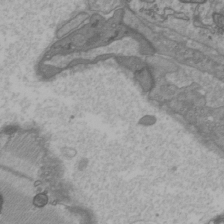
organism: C57BL Mouse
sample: Heart